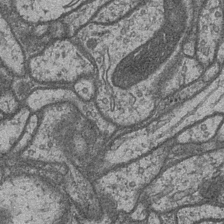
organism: Drosophila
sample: Optic medulla